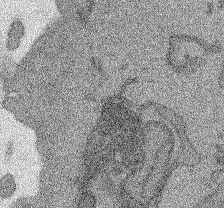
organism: Human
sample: HeLa cells